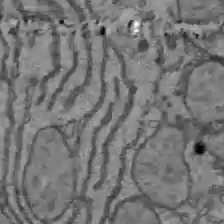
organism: C57BL Mouse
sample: Liver